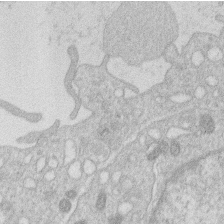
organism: Human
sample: Macrophage cells